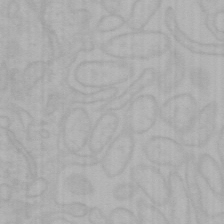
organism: Mouse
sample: Choroid plexus